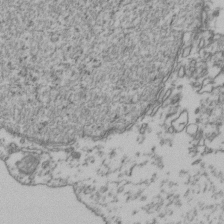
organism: Human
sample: Activated Jurkat CD4+ T cells